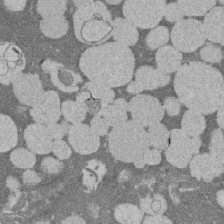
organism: Rat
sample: Salivary granule